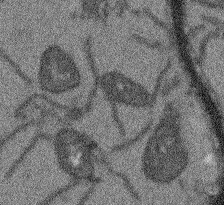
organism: Arabidopsis thaliana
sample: Root tip